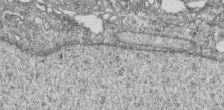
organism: Human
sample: HeLa cell HIV synapse